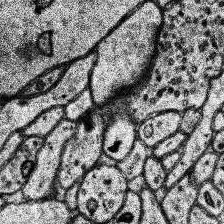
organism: Human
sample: Temporal Lobe